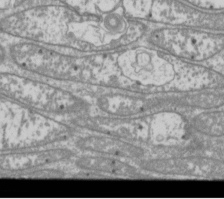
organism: Drosophila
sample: Cell division; meiosis; drosophila spermatocytes